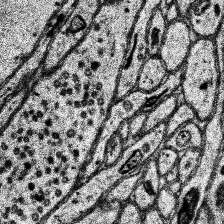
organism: Human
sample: Temporal Lobe